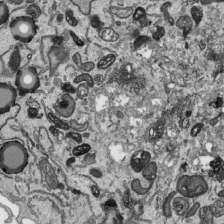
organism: Human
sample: Mitochondria in HCT116 cells